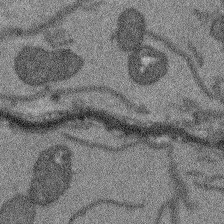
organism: Arabidopsis thaliana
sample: Root tip